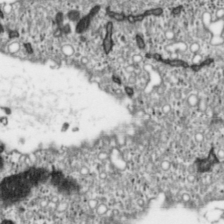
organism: Toxoplasma gondii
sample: Parasites in a vacuole inside a host cell